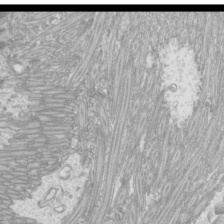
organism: Mouse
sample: Cilia; mouse epididymis